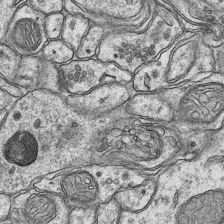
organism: Mouse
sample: CA1 Hippocampus